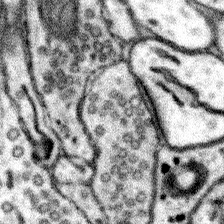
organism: Mouse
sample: Somatosensory cortex neuropil